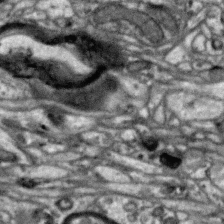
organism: Zebra finch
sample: Brain